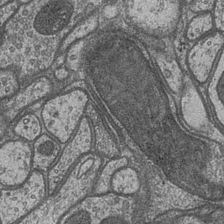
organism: Drosophila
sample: Optic medulla